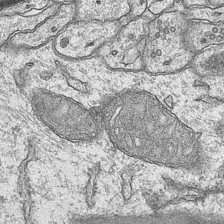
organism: Mouse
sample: CA1 Hippocampus